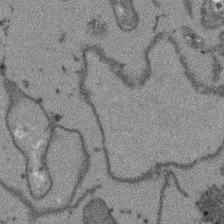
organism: Arabidopsis thaliana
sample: Root tip